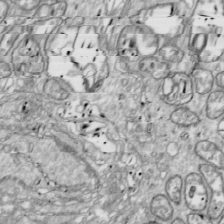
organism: Drosophila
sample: Cell division; meiosis; drosophila spermatocytes